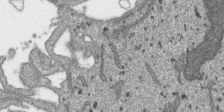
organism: Human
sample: Lung epithelial cells infected with SARS-CoV-2